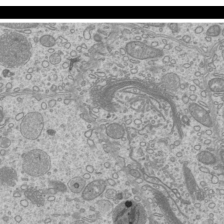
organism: Mouse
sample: Cilia; mouse epididymis